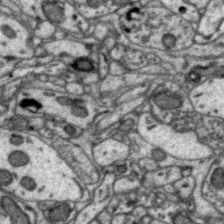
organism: Zebra finch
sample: Brain